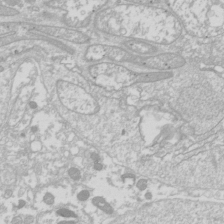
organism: Drosophila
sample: Cell division; meiosis; drosophila spermatocytes